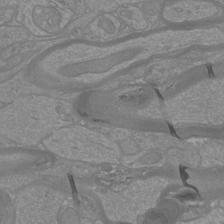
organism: Mouse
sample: Cortical neurons